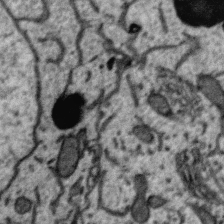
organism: Zebra finch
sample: Brain